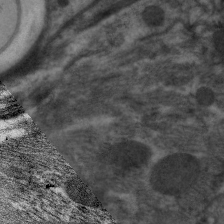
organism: C. elegans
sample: Pharynx